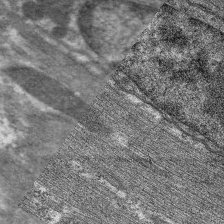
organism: C. elegans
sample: Pharynx